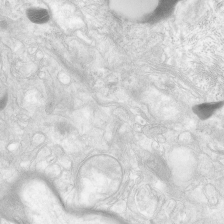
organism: Human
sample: Neocortex